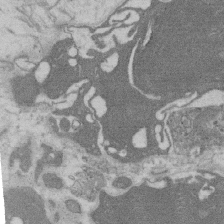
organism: Rat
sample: Salivary granule